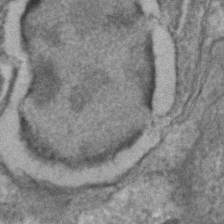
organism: C. elegans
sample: C. elegans embryo